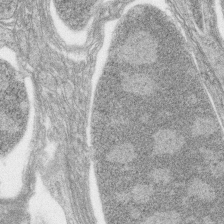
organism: Zebrafish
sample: synaptic ribbons in rod cells and cone cells